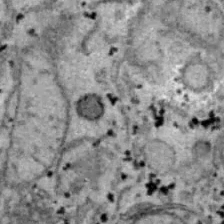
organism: Mouse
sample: Liver from an obese (ob/ob) mouse